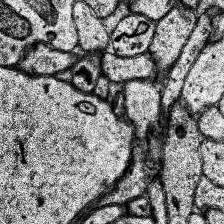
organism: Human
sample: Temporal Lobe